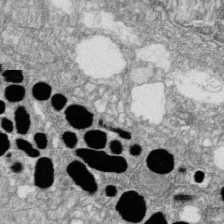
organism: Zebrafish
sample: Cilia; retinal pigment epithelium